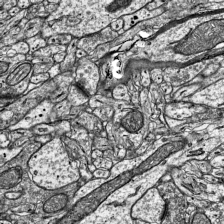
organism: Mouse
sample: Visual Cortex